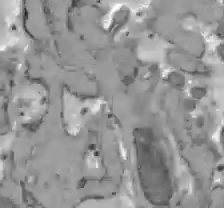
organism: C57BL Mouse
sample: Liver